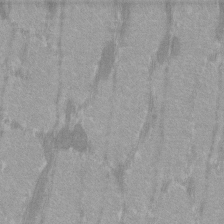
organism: C57BL Mouse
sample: Tibialis anterior muscle cell